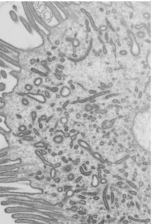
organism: Mouse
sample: Mouse epididymis efferent ductule cilia